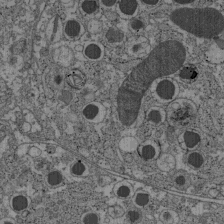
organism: C57BL Mouse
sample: Pancreatic islet